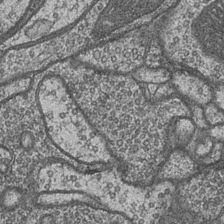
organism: Drosophila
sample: Optic medulla